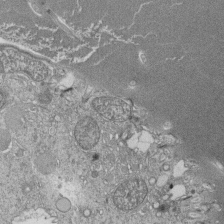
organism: Tetrahymena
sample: Cilia in tetrahymena